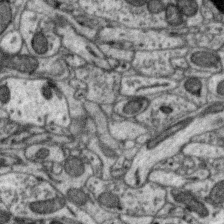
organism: Zebra finch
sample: Brain